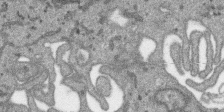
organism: Human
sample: Lung epithelial cells infected with SARS-CoV-2